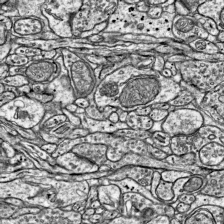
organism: Mouse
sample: Visual Cortex